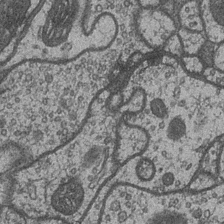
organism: Drosophila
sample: Optic medulla